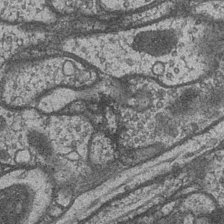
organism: Drosophila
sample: Optic medulla